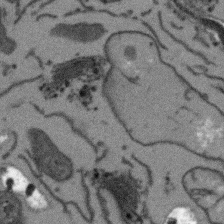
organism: Arabidopsis thaliana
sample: Root tip